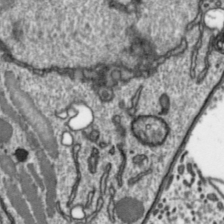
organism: Toxoplasma gondii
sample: Parasites in a vacuole inside a host cell